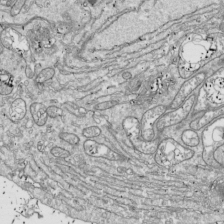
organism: Drosophila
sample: Cell division; meiosis; drosophila spermatocytes